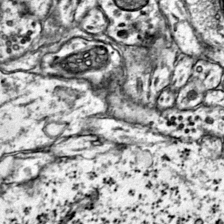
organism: Mouse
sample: Primary visual cortex